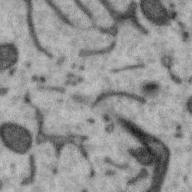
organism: Zebra finch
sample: Brain